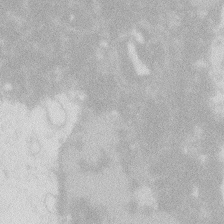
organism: Zebrafish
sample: Macrophage